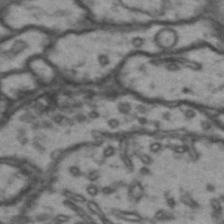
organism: Drosophila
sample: Brain